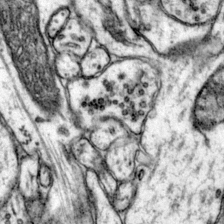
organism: Mouse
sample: Primary visual cortex